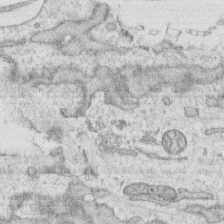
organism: Human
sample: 1205lu cells